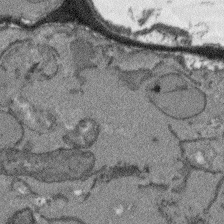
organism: Arabidopsis thaliana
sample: Root tip